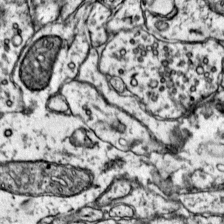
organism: Mouse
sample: Primary visual cortex